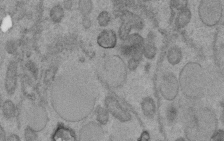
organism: C. elegans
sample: C. elegans embryo early stage